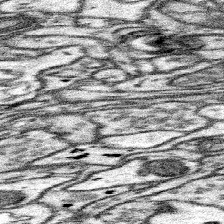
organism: Mouse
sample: Somatosensory cortex neuropil